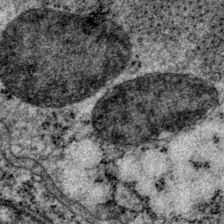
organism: P. pacificus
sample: Pharynx